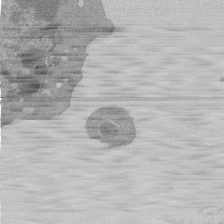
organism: Mouse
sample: Activated Pmel transgenic CD8+ T Cells